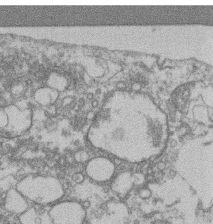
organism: Mouse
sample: T cell stromal cell synapse